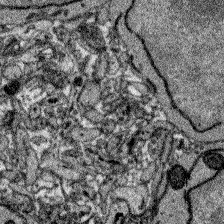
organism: Zebrafish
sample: Larval olfactory bulb